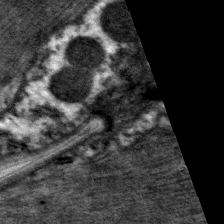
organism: C. elegans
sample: Pharynx